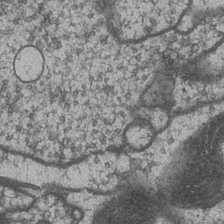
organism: Drosophila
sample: Optic medulla